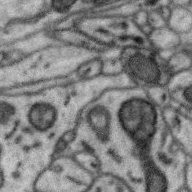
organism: Zebra finch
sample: Brain